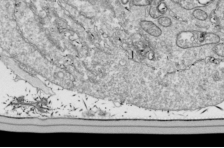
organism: Drosophila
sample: Cell division; meiosis; drosophila spermatocytes